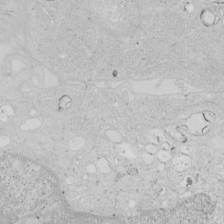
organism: Human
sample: Mitochondria in HCT116 cells